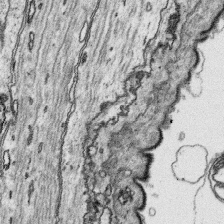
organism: Platynereis dumerilii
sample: Parapodia